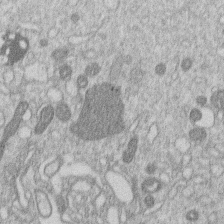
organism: Human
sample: Macrophage cells